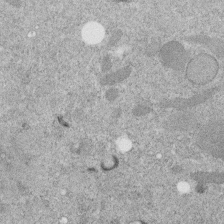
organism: C. elegans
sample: C. elegans embryo early stage